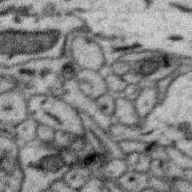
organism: Zebra finch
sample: Brain